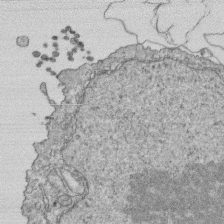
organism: Human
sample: HeLa cell HIV synapse